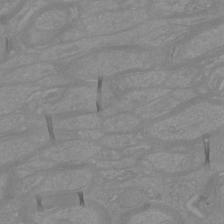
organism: Mouse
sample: Cortical neurons